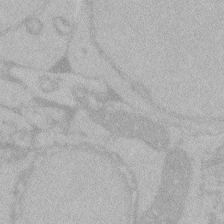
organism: Zebrafish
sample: Macrophage infected with Toxoplasma gondii